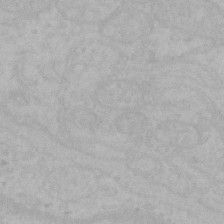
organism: Mouse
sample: Choroid plexus